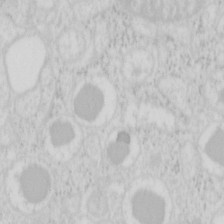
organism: Mouse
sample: Pancreas